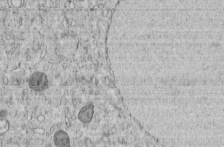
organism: C. elegans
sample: C. elegans embryo early stage